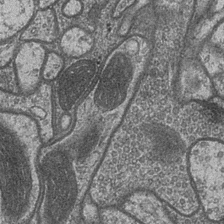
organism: Drosophila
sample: Optic medulla